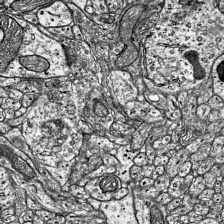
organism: Mouse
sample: Visual Cortex